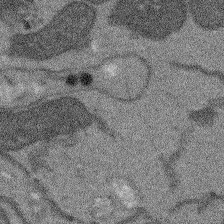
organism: Arabidopsis thaliana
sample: Root tip